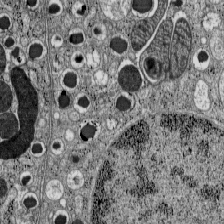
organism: C57BL Mouse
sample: Pancreatic islet